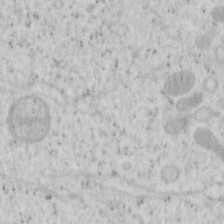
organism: Human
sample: HeLa cells